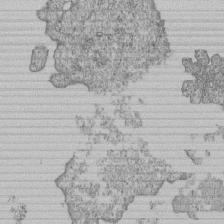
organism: Human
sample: MDA-MB-231 cells